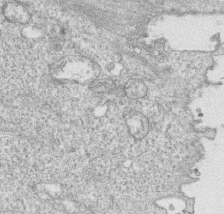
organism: Human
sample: HeLa cell HIV synapse